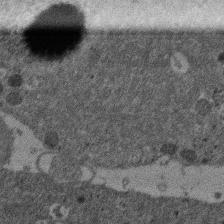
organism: Mouse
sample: Dividing mouse embryo 1 cell stage